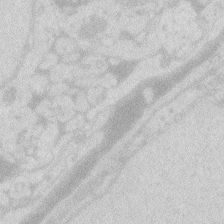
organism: Zebrafish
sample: Macrophage